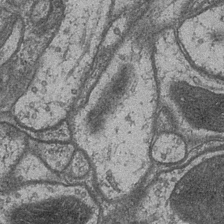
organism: Drosophila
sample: Optic medulla